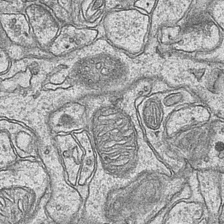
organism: Mouse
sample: CA1 Hippocampus